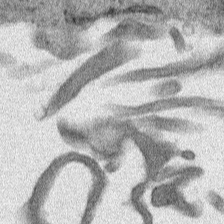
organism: Human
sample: Mitochondria in HCT116 cells